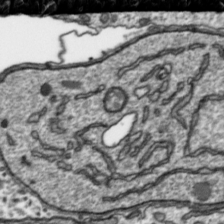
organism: Toxoplasma gondii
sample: Parasites in a vacuole inside a host cell